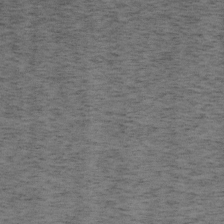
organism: Mouse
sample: OT-I killer T cells with ID8 ovarian cancer cells